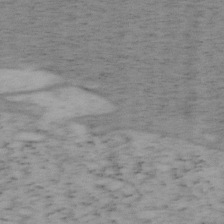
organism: Mouse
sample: OT-I killer T cells with ID8 ovarian cancer cells